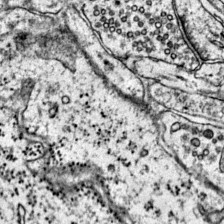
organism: Mouse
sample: Primary visual cortex